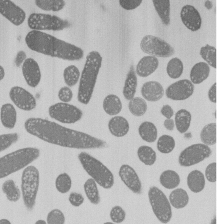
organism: E. coli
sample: Bacterial nucleoid